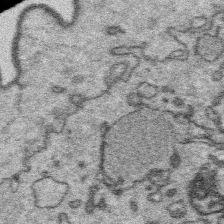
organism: Platynereis dumerilii